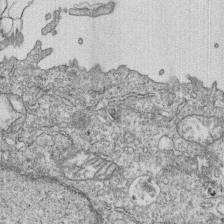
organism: Human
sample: HeLa cell HIV synapse